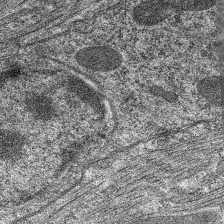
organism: C. elegans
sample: Pharynx